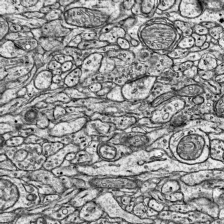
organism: Mouse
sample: Visual Cortex